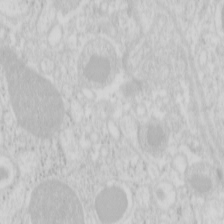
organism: Mouse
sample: Pancreas